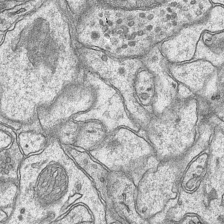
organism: Mouse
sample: CA1 Hippocampus